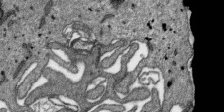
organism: Human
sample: Lung epithelial cells, uninfected (mock) control